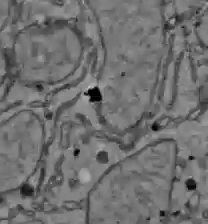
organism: C57BL Mouse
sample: Liver